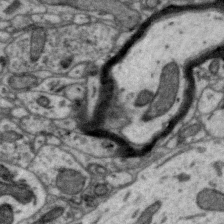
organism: Zebra finch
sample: Brain